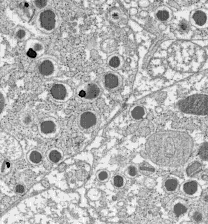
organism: C57BL Mouse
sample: Pancreatic islet